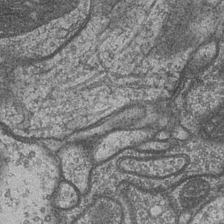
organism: Drosophila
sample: Optic medulla